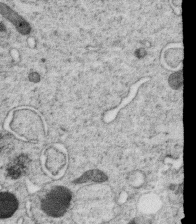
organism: C. elegans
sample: C. elegans oocyte; sperm cells